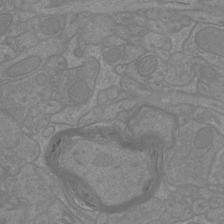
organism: Mouse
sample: Cortical neurons